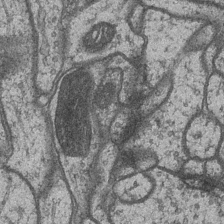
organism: Drosophila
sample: Optic medulla